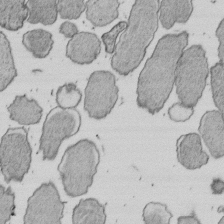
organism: E. coli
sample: Bacterial nucleoid